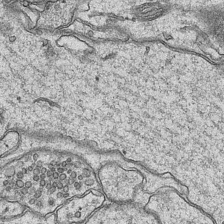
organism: Mouse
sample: CA1 Hippocampus